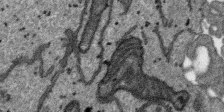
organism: Human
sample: Lung epithelial cells, uninfected (mock) control